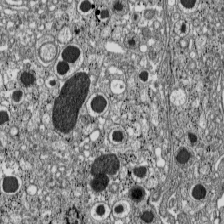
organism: C57BL Mouse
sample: Pancreatic islet